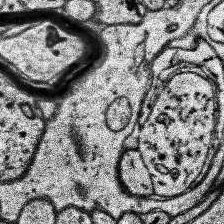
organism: Human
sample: Temporal Lobe